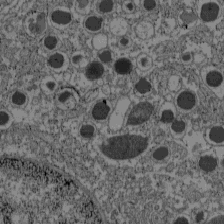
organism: C57BL Mouse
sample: Pancreatic islet